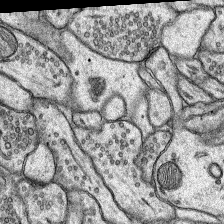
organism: Rat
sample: Hippocampus